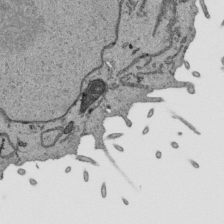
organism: Human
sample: Mitochondria in HCT116 cells